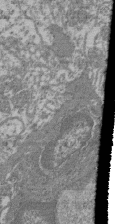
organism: Mouse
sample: Glomerulus